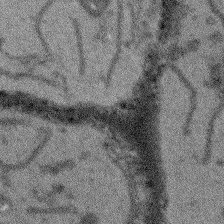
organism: Arabidopsis thaliana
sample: Root tip